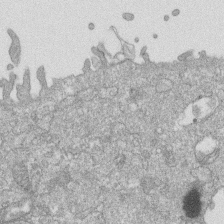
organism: Human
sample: HeLa cell HIV synapse